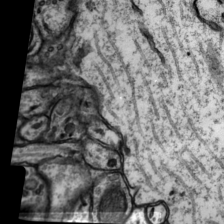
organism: Rat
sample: Hippocampus